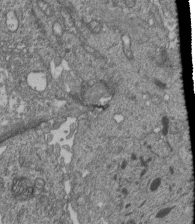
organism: Human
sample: Retinal organoid Rod and Cone cells